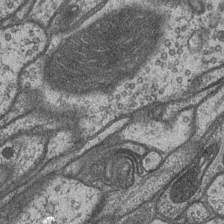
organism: Drosophila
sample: Optic medulla